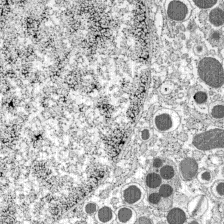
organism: C57BL Mouse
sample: Pancreatic islet